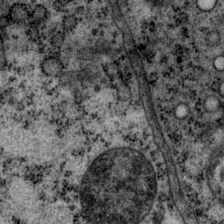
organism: P. pacificus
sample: Pharynx